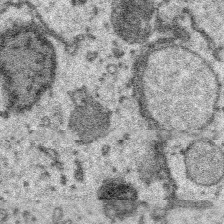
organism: Platynereis dumerilii